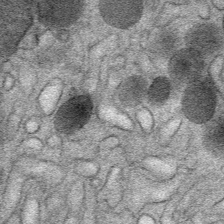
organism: Mouse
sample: Mouse Salivary gland